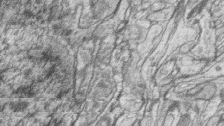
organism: Zebrafish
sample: synaptic ribbons in rod cells and cone cells